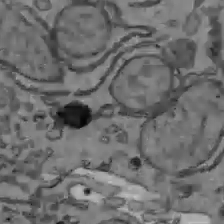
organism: C57BL Mouse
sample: Liver